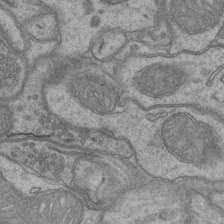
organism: Mouse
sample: CA1 Hippocampus